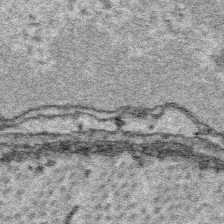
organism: Platynereis dumerilii